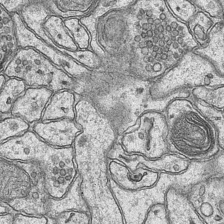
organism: Mouse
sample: CA1 Hippocampus